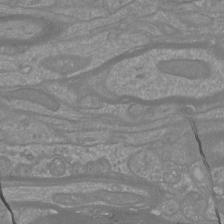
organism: Mouse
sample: Cortical neurons